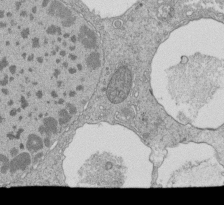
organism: Tetrahymena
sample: Cilia in tetrahymena